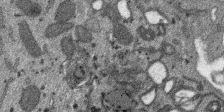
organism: Human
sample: Lung epithelial cells infected with SARS-CoV-2